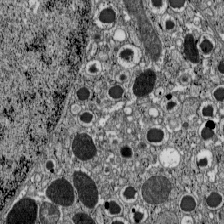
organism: C57BL Mouse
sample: Pancreatic islet